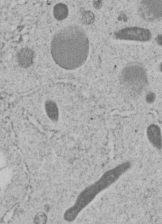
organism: C. elegans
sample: C. elegans embryo early stage